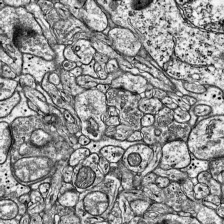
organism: Mouse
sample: Visual Cortex